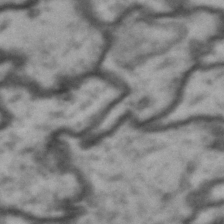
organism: Drosophila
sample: Brain